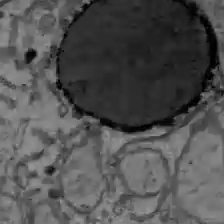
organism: C57BL Mouse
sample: Liver